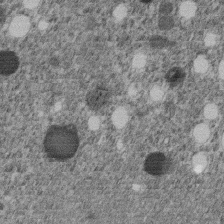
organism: C. elegans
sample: C. elegans embryo early stage